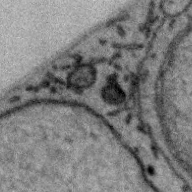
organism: Zebra finch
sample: Brain